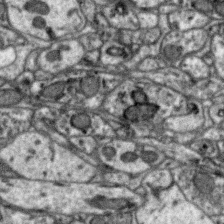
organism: Zebra finch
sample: Brain